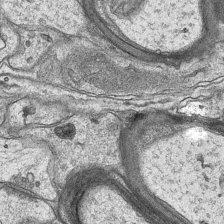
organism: Mouse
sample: CA1 Hippocampus